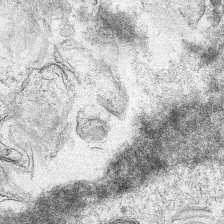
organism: Mouse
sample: Mouse hepatocytes